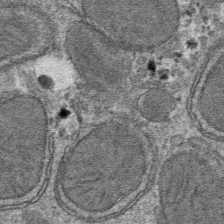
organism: Mouse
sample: Mouse hepatocytes